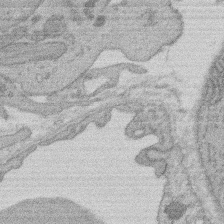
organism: Rat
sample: Salivary granule